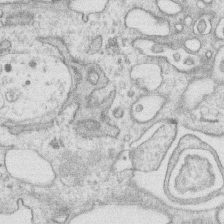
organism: Human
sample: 1205lu cells